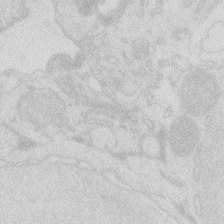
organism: Zebrafish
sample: Macrophage